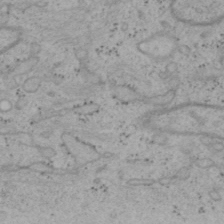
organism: Human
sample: HeLa cells